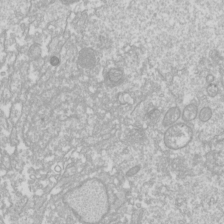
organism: Drosophila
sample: Cell division; meiosis; drosophila spermatocytes